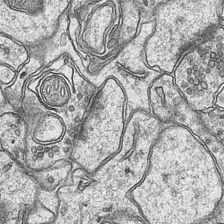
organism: Mouse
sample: CA1 Hippocampus